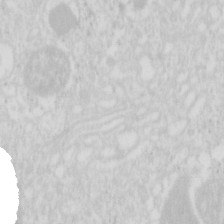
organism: Mouse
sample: Pancreas